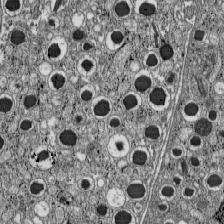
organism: C57BL Mouse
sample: Pancreatic islet